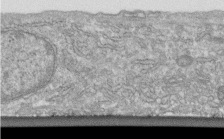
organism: Human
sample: Centriole in fibroblast cells